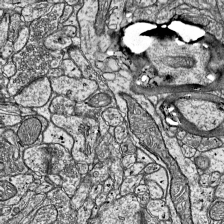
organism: Mouse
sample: Visual Cortex